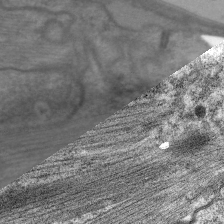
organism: C. elegans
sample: Pharynx